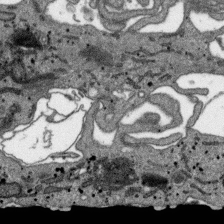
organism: Human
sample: Lung epithelial cells, uninfected (mock) control